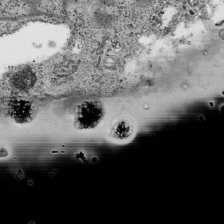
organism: Human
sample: Mitochondria in HCT116 cells